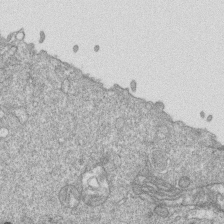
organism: Human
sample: HeLa cell HIV synapse